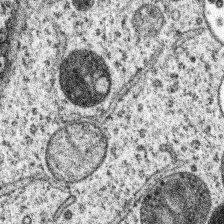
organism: Human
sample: HeLa cells